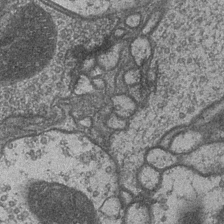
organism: Drosophila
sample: Optic medulla